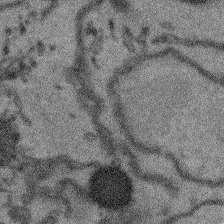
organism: Arabidopsis thaliana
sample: Root tip